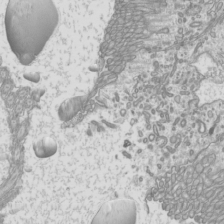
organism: Mouse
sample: Cilia; mouse epididymis